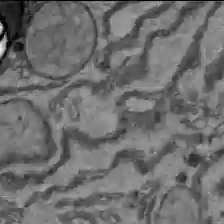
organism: C57BL Mouse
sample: Liver